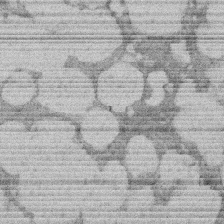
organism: Rat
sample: Salivary granule